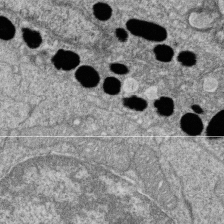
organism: Zebrafish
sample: Cilia; retinal pigment epithelium